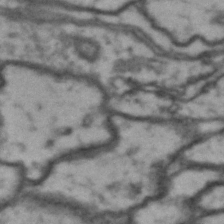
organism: Drosophila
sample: Brain